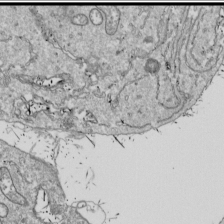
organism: Drosophila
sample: Cell division; meiosis; drosophila spermatocytes